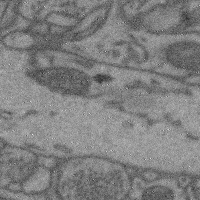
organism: Mouse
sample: Cerebral cortex